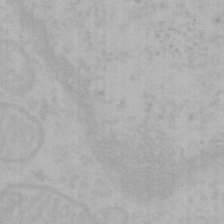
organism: Mouse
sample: Choroid plexus